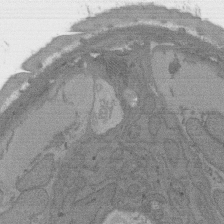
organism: C. elegans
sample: AFD neurons C. elegans